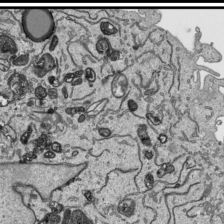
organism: Human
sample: Mitochondria in HCT116 cells